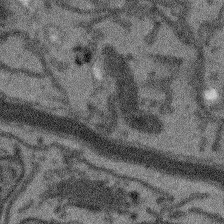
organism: Arabidopsis thaliana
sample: Root tip